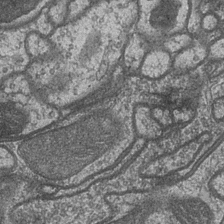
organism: Drosophila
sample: Optic medulla